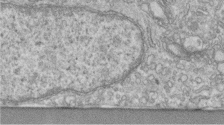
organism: Human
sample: Centriole in fibroblast cells